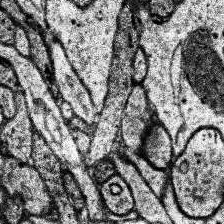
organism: Human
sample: Temporal Lobe